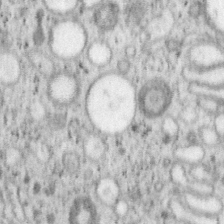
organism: Mouse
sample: OT-I killer T cells with ID8 ovarian cancer cells